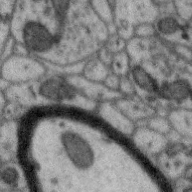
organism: Zebra finch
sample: Brain